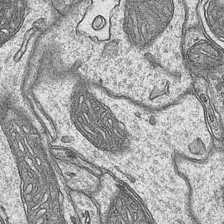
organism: Mouse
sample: CA1 Hippocampus